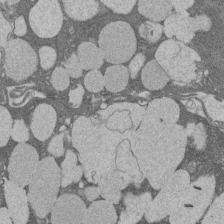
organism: Rat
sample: Salivary granule